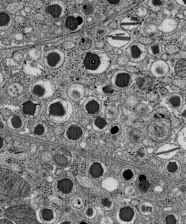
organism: C57BL Mouse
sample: Pancreatic islet